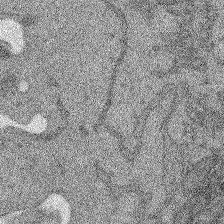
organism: Human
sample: HeLa cells